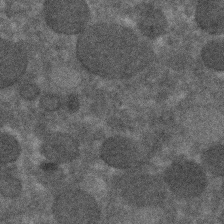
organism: C. elegans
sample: C. elegans embryo